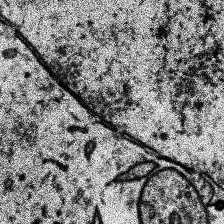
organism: Human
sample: Temporal Lobe